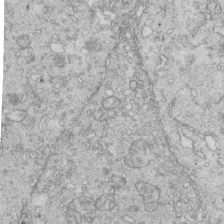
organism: Mouse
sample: Multiciliated cells